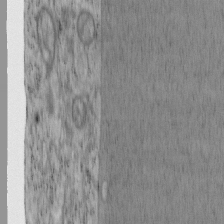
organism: Human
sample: HeLa cells